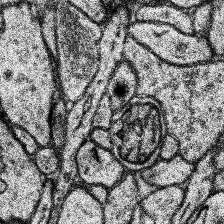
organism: Human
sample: Temporal Lobe